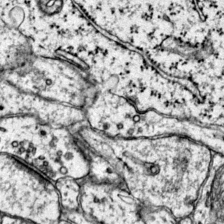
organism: Mouse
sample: Primary visual cortex